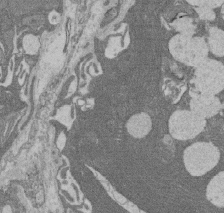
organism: Rat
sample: Salivary granule